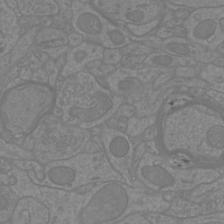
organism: Mouse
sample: Cortical neurons